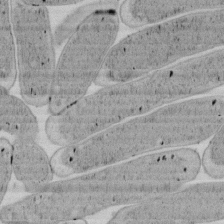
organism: E. coli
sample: Bacterial nucleoid